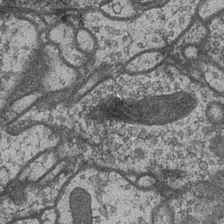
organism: Drosophila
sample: Optic medulla